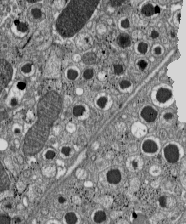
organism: C57BL Mouse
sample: Pancreatic islet